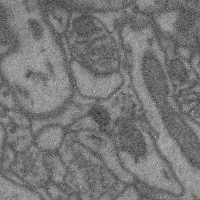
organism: Mouse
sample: Cerebral cortex